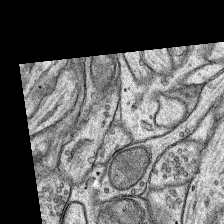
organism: Rat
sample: Hippocampus